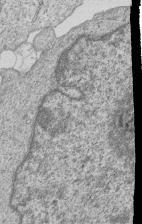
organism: Human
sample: MDA-MB-231 cells